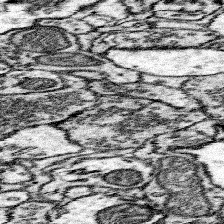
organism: Mouse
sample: Somatosensory cortex neuropil